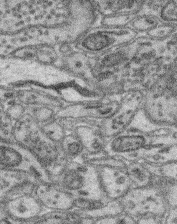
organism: Mouse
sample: Retina